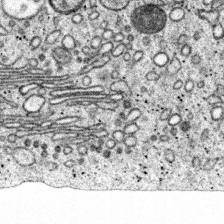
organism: Human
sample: HeLa cells